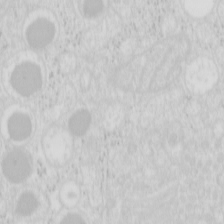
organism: Mouse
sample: Pancreas